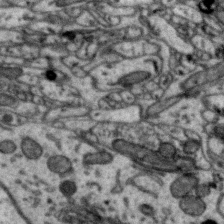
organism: Zebra finch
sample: Brain